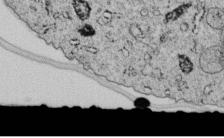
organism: C. elegans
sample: C. elegans embryo early stage